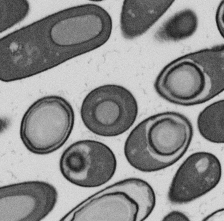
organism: B. subtilis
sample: Bacterial spore